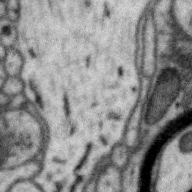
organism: Zebra finch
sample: Brain